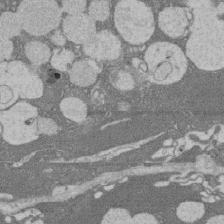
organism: Rat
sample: Salivary granule